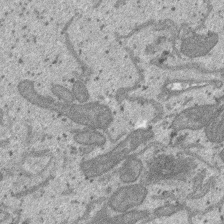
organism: Human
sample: Lung epithelial cells infected with SARS-CoV-2